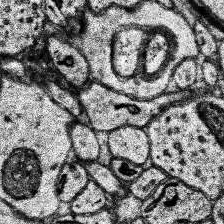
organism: Human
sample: Temporal Lobe